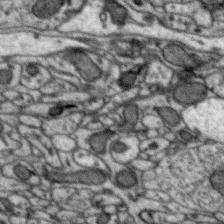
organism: Zebra finch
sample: Brain